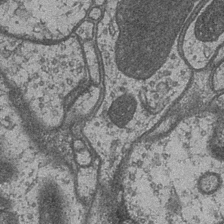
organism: Drosophila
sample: Optic medulla